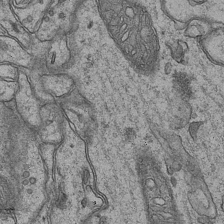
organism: Mouse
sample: CA1 Hippocampus